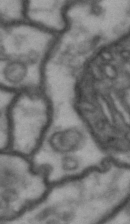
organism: Drosophila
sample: Brain